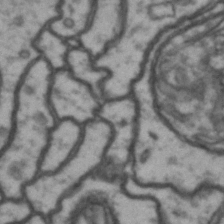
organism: Drosophila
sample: Brain